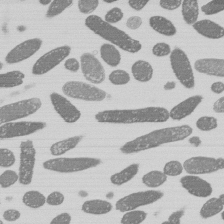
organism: E. coli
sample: Bacterial nucleoid